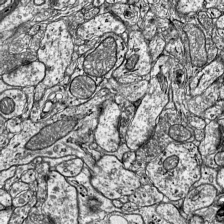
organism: Mouse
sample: Visual Cortex